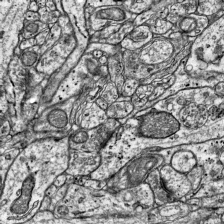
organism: Mouse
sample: Visual Cortex